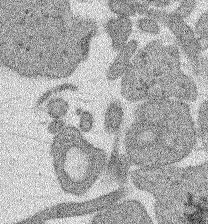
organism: Human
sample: HeLa cells